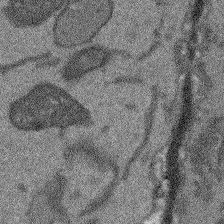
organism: Arabidopsis thaliana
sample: Root tip